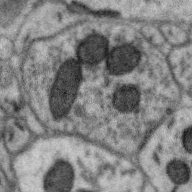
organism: Zebra finch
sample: Brain